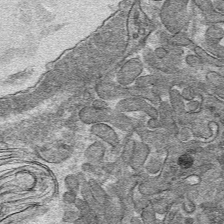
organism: Mouse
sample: Mouse hepatocytes